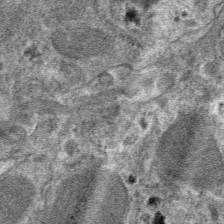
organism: Mouse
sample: Mouse hepatocytes